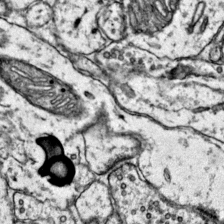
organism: Mouse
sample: Primary visual cortex